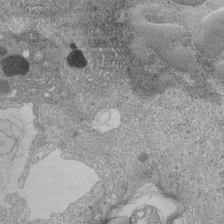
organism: Human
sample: Retinal organoid Rod and Cone cells